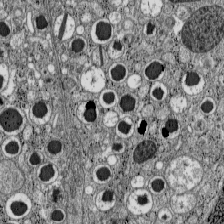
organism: C57BL Mouse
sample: Pancreatic islet